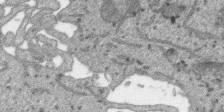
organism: Human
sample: Lung epithelial cells infected with SARS-CoV-2